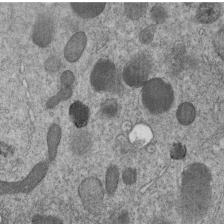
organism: C. elegans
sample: C. elegans embryo early stage